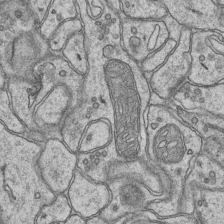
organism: Mouse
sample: CA1 Hippocampus